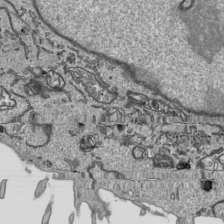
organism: Human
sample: Mitochondria in HCT116 cells